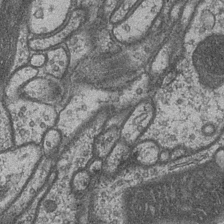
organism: Drosophila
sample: Optic medulla